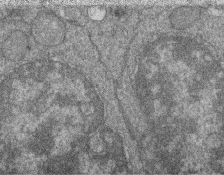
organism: Zebrafish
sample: Cilia; retinal pigment epithelium